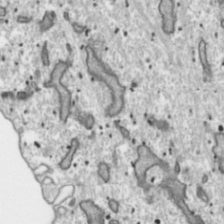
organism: Toxoplasma gondii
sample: Parasites in a vacuole inside a host cell